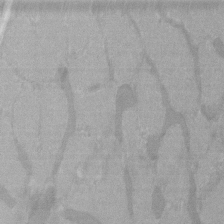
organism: C57BL Mouse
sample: Tibialis anterior muscle cell